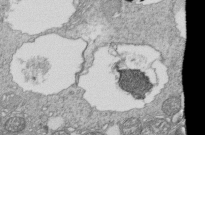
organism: Tetrahymena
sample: Cilia in tetrahymena